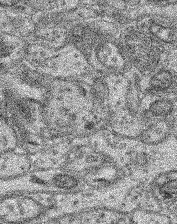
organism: Mouse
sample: Retina